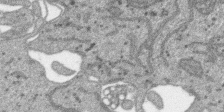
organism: Human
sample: Lung epithelial cells infected with SARS-CoV-2